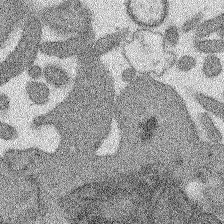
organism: Human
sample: HeLa cells